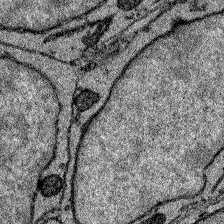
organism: Zebrafish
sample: Larval olfactory bulb